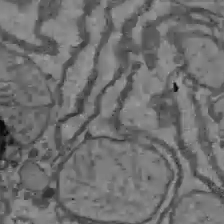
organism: C57BL Mouse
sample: Liver